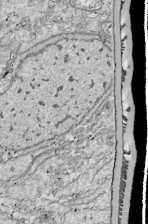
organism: Drosophila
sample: Cell division; meiosis; drosophila spermatocytes